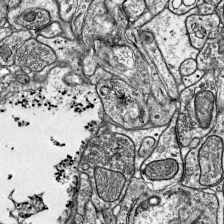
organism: Mouse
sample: Visual Cortex